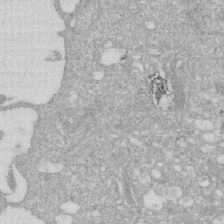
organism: Human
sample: HIV infected U937 cells